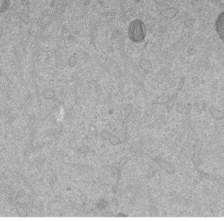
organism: Mouse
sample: Dividing mouse embryo 1 cell stage